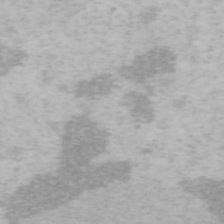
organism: Mouse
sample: OT-I killer T cells with ID8 ovarian cancer cells